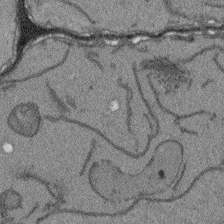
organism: Arabidopsis thaliana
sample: Root tip